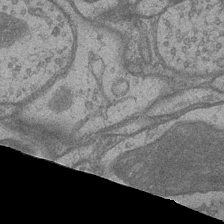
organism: Drosophila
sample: Optic medulla